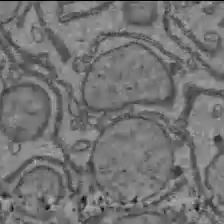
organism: C57BL Mouse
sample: Liver